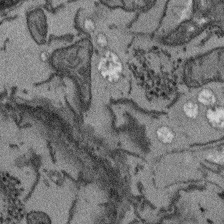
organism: Arabidopsis thaliana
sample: Root tip